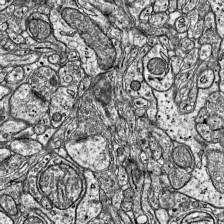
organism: Mouse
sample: Visual Cortex